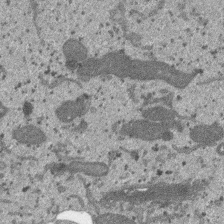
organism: Human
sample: Lung epithelial cells infected with SARS-CoV-2